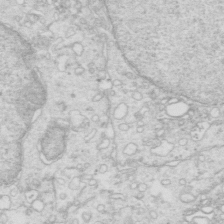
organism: Mouse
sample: Multiciliated cells